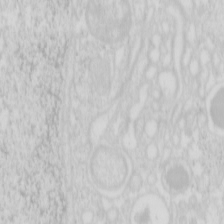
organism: Mouse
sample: Pancreas